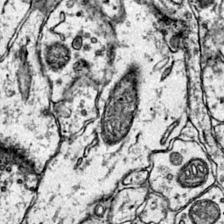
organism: Mouse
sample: Primary visual cortex